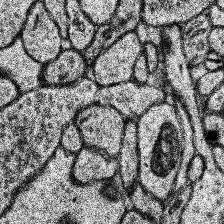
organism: Human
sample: Temporal Lobe